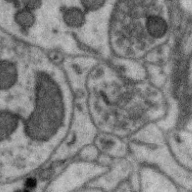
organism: Zebra finch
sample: Brain